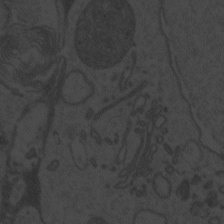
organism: Zebrafish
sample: Macrophage infected with Toxoplasma gondii